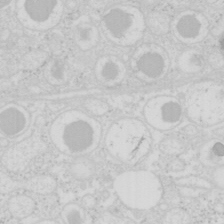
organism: Mouse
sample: Pancreas